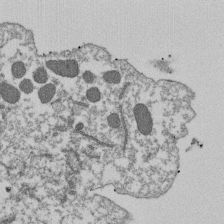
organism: Dictyostelium discoideum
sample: Dictyostelium multivesicular bodies